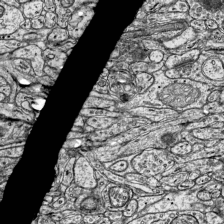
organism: Mouse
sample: Visual Cortex